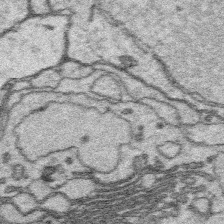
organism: Platynereis dumerilii